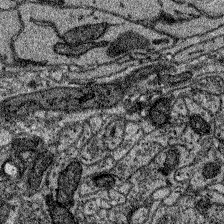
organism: Zebrafish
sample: Larval olfactory bulb